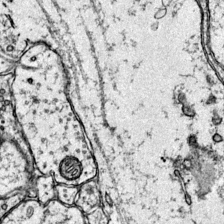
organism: Mouse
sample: Primary visual cortex